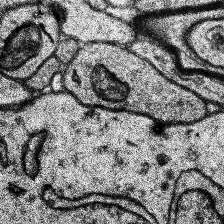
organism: Human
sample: Temporal Lobe